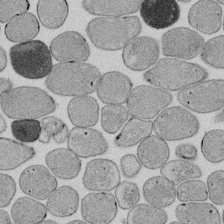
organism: E. coli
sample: Bacterial nucleoid